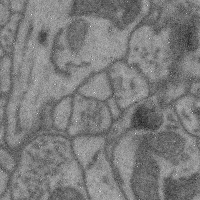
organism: Mouse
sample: Cerebral cortex